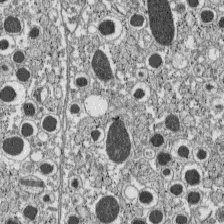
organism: C57BL Mouse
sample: Pancreatic islet